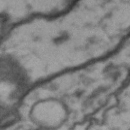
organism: Drosophila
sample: Brain